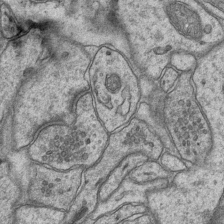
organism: Mouse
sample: CA1 Hippocampus